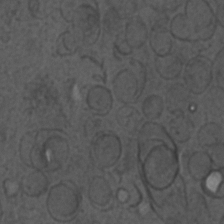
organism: C. elegans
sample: C. elegans embryo